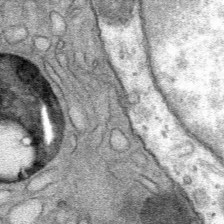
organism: Mouse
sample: Mouse Salivary gland